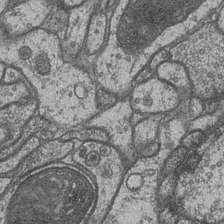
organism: Drosophila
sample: Optic medulla